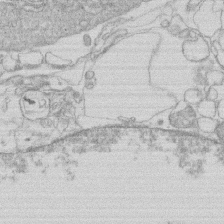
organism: Human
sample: Macrophage cells